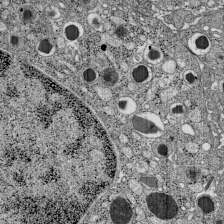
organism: C57BL Mouse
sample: Pancreatic islet